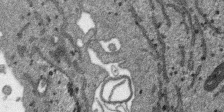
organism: Human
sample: Lung epithelial cells infected with SARS-CoV-2